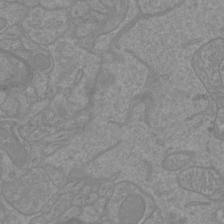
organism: Mouse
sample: Cortical neurons